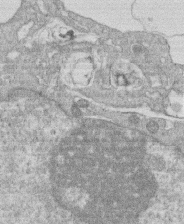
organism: Human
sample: Macrophage cells